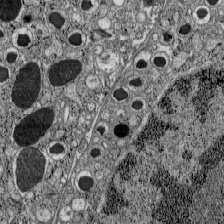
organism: C57BL Mouse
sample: Pancreatic islet